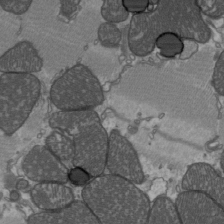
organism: C57BL Mouse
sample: Heart